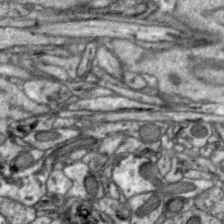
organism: Zebra finch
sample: Brain